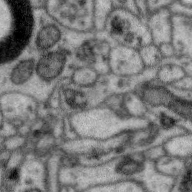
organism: Zebra finch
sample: Brain